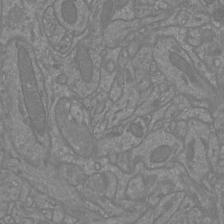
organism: Mouse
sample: Cortical neurons